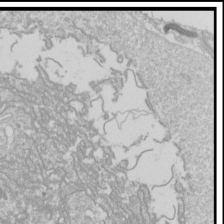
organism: Drosophila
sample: Cell division; meiosis; drosophila spermatocytes